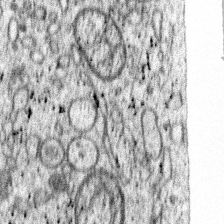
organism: Human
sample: HeLa cells